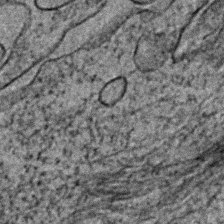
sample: Trachea